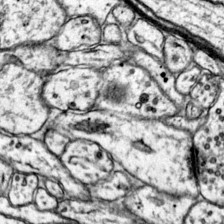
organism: Mouse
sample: Primary visual cortex